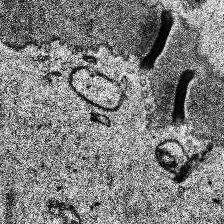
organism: Human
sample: Temporal Lobe